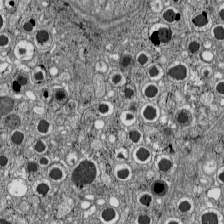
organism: C57BL Mouse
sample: Pancreatic islet